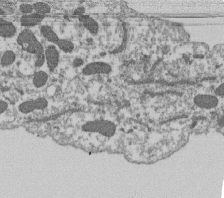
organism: Dictyostelium discoideum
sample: Dictyostelium multivesicular bodies